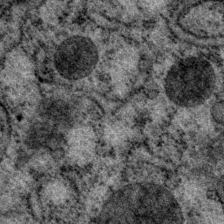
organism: P. pacificus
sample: Pharynx